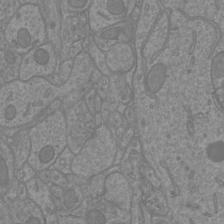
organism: Mouse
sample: Cortical neurons